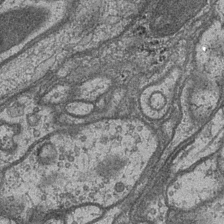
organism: Drosophila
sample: Optic medulla